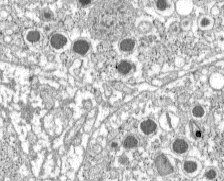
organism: C57BL Mouse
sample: Pancreatic islet